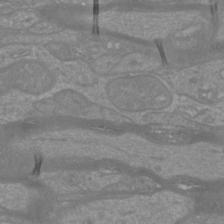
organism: Mouse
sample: Cortical neurons